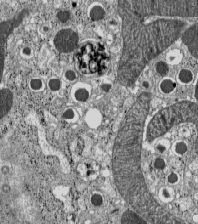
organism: C57BL Mouse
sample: Pancreatic islet